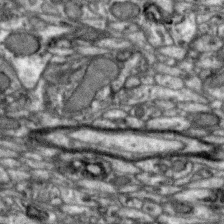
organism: Zebra finch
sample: Brain